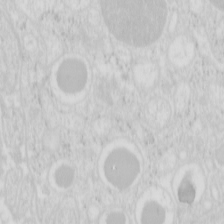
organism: Mouse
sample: Pancreas